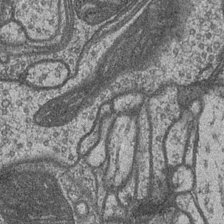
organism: Drosophila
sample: Optic medulla